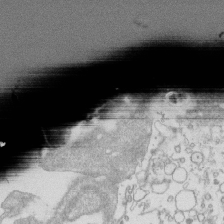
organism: Mouse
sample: Macrophages